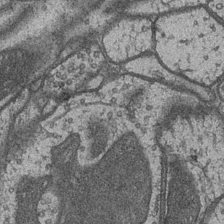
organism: Drosophila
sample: Optic medulla